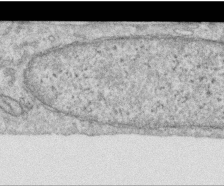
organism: Human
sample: Centriole in RPE cells